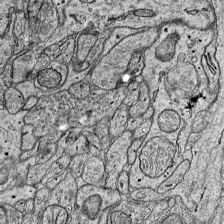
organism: Mouse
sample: Visual Cortex